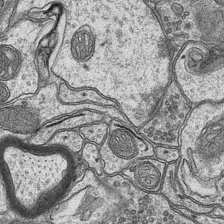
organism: Mouse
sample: CA1 Hippocampus